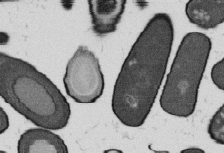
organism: B. subtilis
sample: Bacterial spore